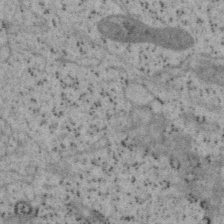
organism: Human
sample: HeLa cells